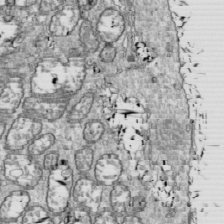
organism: Drosophila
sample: Cell division; meiosis; drosophila spermatocytes